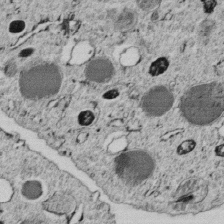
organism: C. elegans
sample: C. elegans embryo early stage